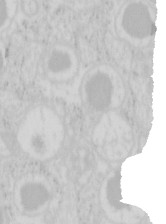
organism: Mouse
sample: Pancreas